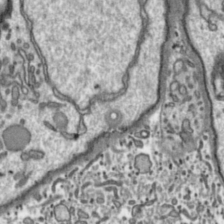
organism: Toxoplasma gondii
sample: Parasites in a vacuole inside a host cell